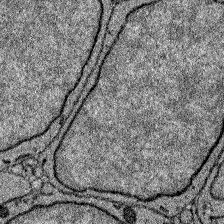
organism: Zebrafish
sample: Larval olfactory bulb